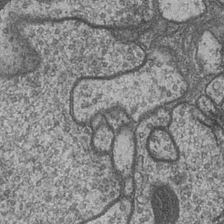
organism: Drosophila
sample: Optic medulla